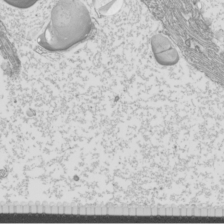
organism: Mouse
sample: Cilia; mouse epididymis